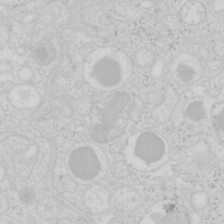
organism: Mouse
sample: Pancreas